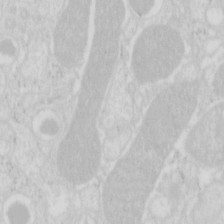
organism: Mouse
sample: Pancreas